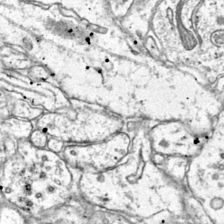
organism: Mouse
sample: Primary visual cortex